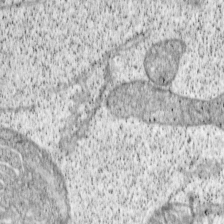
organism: African green monkey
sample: COS-7 cells